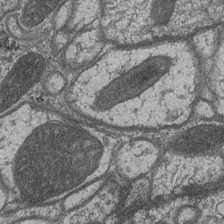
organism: Drosophila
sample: Optic medulla